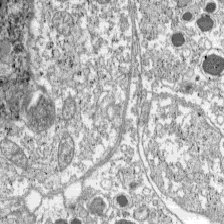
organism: C57BL Mouse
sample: Pancreatic islet